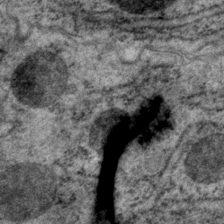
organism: P. pacificus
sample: Pharynx